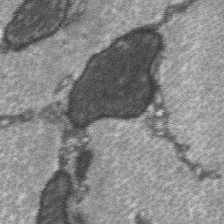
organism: C57BL Mouse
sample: Soleus